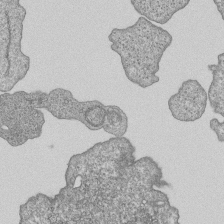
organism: Human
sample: MDA-MB-231 cells